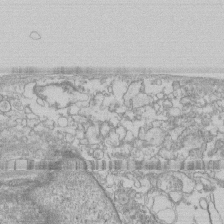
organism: Human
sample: CRL-1474